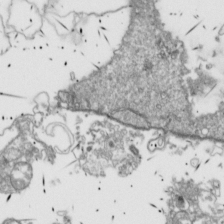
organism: Drosophila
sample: Cell division; meiosis; drosophila spermatocytes